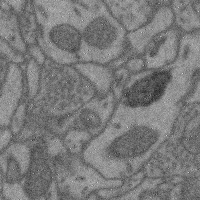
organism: Mouse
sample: Cerebral cortex